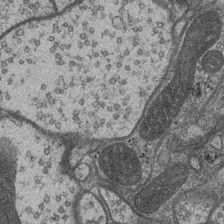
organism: Drosophila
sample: Optic medulla